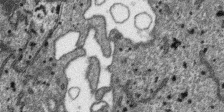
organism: Human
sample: Lung epithelial cells infected with SARS-CoV-2